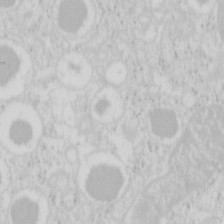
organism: Mouse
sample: Pancreas